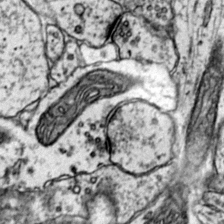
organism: Mouse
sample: Primary visual cortex